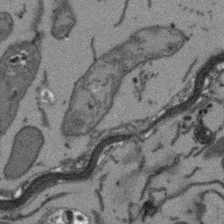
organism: Arabidopsis thaliana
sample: Root tip